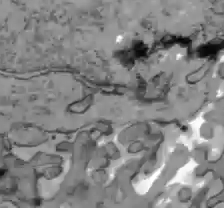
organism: C57BL Mouse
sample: Liver